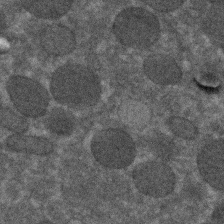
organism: C. elegans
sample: C. elegans embryo